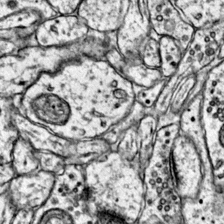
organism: Mouse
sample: Primary visual cortex